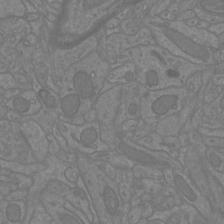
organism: Mouse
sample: Cortical neurons